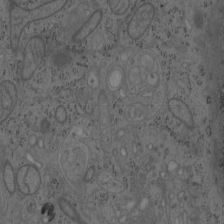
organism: Mouse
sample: OT-I killer T cells with ID8 ovarian cancer cells